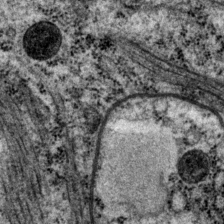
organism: P. pacificus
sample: Pharynx